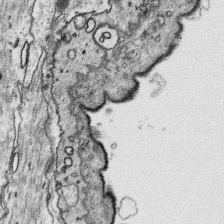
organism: Platynereis dumerilii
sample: Parapodia